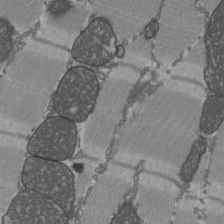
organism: C57BL Mouse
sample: Heart